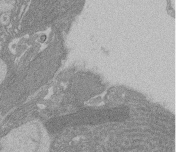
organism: Rat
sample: Salivary granule